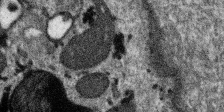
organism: Human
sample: Lung epithelial cells infected with SARS-CoV-2